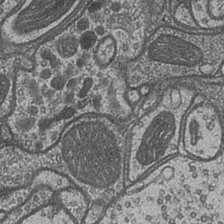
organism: Drosophila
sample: Optic medulla